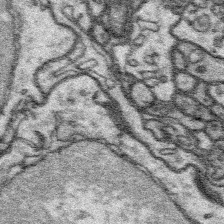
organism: Platynereis dumerilii